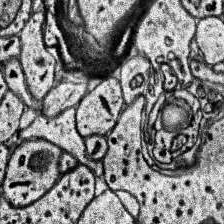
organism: Human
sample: Temporal Lobe